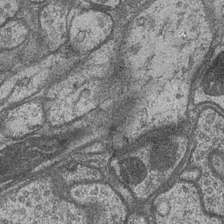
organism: Drosophila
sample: Optic medulla